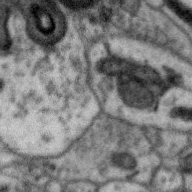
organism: Zebra finch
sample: Brain